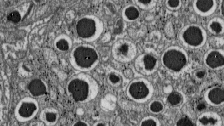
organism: C57BL Mouse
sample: Pancreatic islet